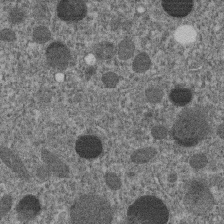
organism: C. elegans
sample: C. elegans embryo early stage